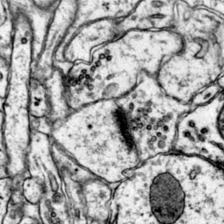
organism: Mouse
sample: Primary visual cortex